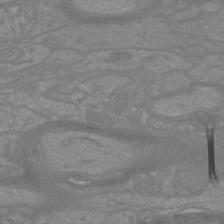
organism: Mouse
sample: Cortical neurons